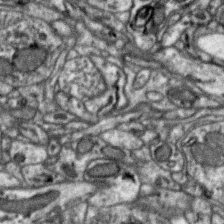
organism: Zebra finch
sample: Brain